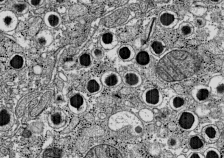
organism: C57BL Mouse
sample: Pancreatic islet